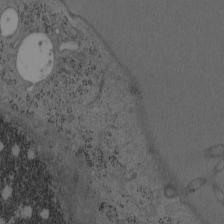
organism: Mouse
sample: OT-I killer T cells with ID8 ovarian cancer cells